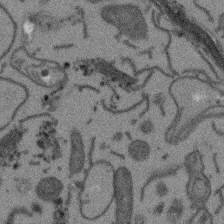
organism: Arabidopsis thaliana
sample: Root tip